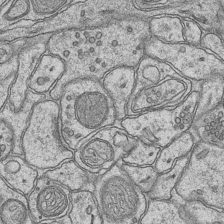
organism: Mouse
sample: CA1 Hippocampus